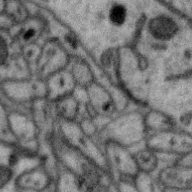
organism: Zebra finch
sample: Brain